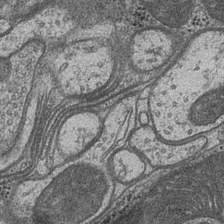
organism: Drosophila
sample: Optic medulla